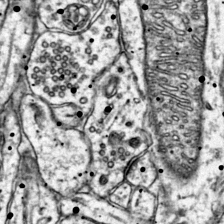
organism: Mouse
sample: Primary visual cortex